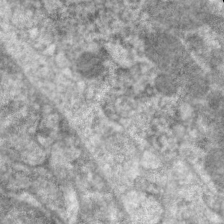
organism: C. elegans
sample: Pharynx